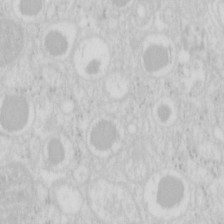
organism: Mouse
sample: Pancreas